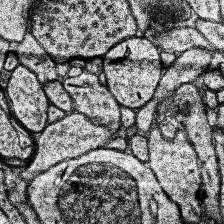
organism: Human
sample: Temporal Lobe